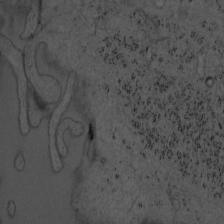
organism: Mouse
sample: OT-I killer T cells with ID8 ovarian cancer cells